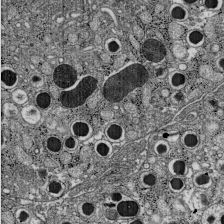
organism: C57BL Mouse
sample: Pancreatic islet